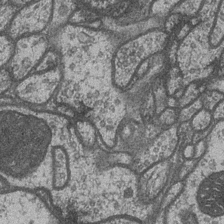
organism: Drosophila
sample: Optic medulla